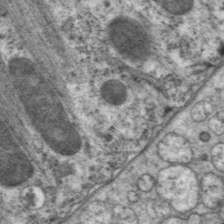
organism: C. elegans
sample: Pharynx